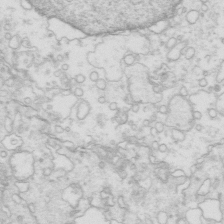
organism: Mouse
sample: Multiciliated cells